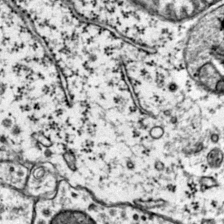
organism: Mouse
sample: Primary visual cortex